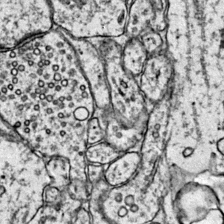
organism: Mouse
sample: Primary visual cortex